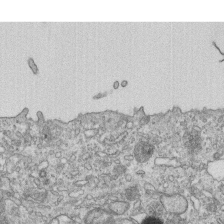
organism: Human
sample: HeLa cell HIV synapse